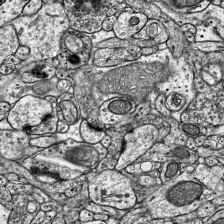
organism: Mouse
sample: Visual Cortex